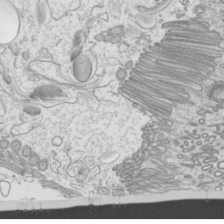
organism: Mouse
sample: Cilia; mouse epididymis